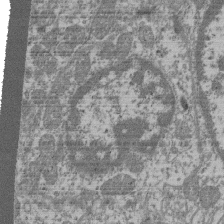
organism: Mouse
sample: Glomerulus